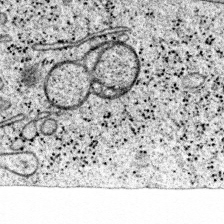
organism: Human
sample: HeLa cells